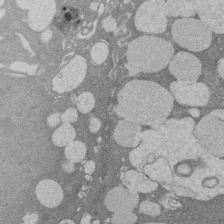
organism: Rat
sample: Salivary granule